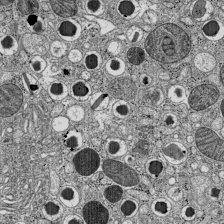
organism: C57BL Mouse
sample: Pancreatic islet